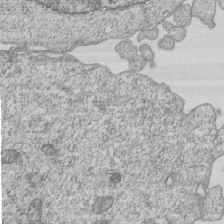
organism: Human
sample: MDA-MB-231 cells